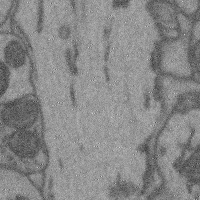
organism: Mouse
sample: Cerebral cortex